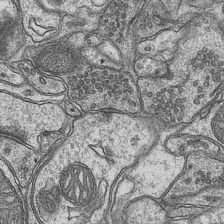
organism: Mouse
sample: CA1 Hippocampus